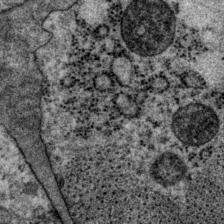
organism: P. pacificus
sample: Pharynx